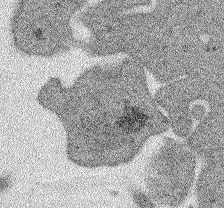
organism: Human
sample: HeLa cells